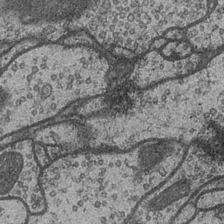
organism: Drosophila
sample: Optic medulla